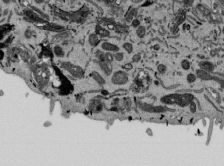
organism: Mouse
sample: ED-1 cell nuclei; centrioles